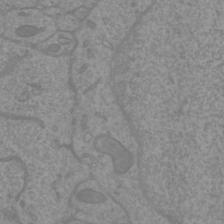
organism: Mouse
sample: Cortical neurons